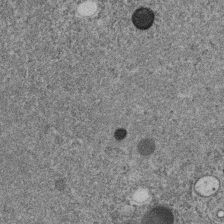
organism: C. elegans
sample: C. elegans embryo early stage